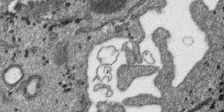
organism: Human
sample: Lung epithelial cells infected with SARS-CoV-2